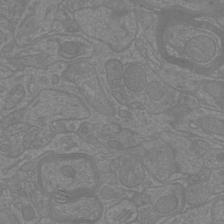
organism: Mouse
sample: Cortical neurons